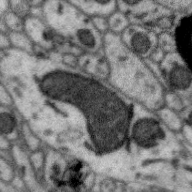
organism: Zebra finch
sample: Brain